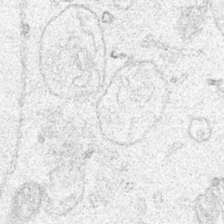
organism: Human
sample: Mitochondria in HCT116 cells